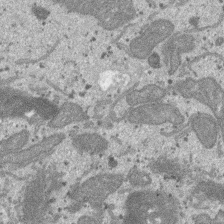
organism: Human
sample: Lung epithelial cells infected with SARS-CoV-2